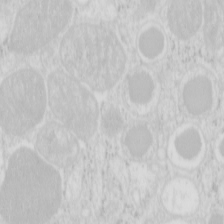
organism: Mouse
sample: Pancreas